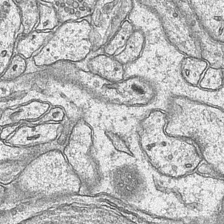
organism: Mouse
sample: CA1 Hippocampus